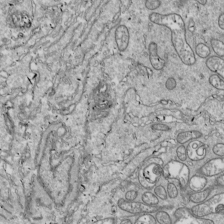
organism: Drosophila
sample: Cell division; meiosis; drosophila spermatocytes